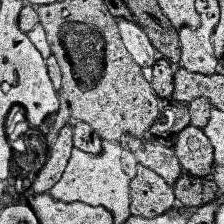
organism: Human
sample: Temporal Lobe